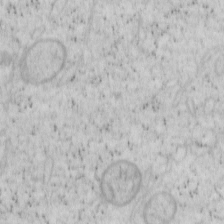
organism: Human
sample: HeLa cells